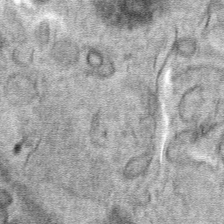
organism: Mouse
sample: Mouse hepatocytes